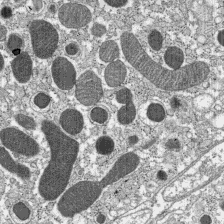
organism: C57BL Mouse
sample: Pancreatic islet